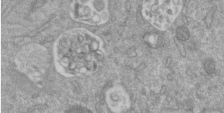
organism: Mouse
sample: ED-1 cell nuclei; centrioles